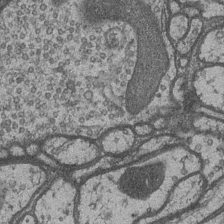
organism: Drosophila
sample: Optic medulla